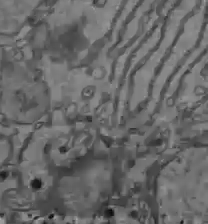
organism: C57BL Mouse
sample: Liver